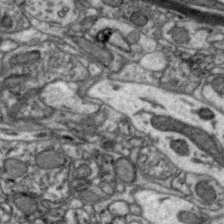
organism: Zebra finch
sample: Brain